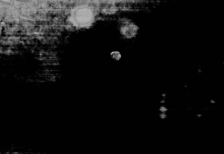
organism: C. elegans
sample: C. elegans embryo early stage